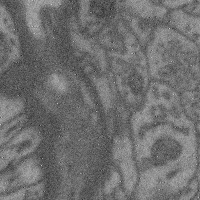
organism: Mouse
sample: Cerebral cortex